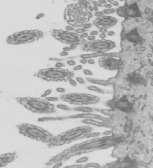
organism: Mouse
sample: Mouse epididymis efferent ductule cilia